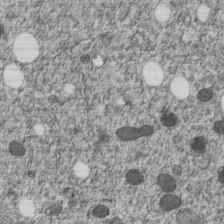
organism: C. elegans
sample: C. elegans embryo early stage